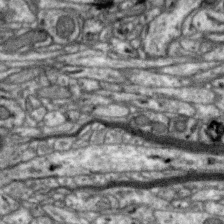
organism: Zebra finch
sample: Brain